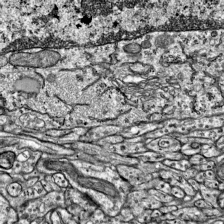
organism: Mouse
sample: Visual Cortex